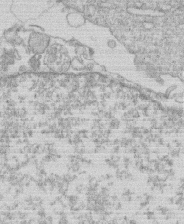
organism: Human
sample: Macrophage cells